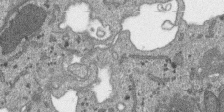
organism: Human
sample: Lung epithelial cells infected with SARS-CoV-2